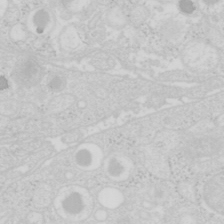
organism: Mouse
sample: Pancreas